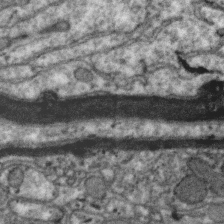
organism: Zebra finch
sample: Brain